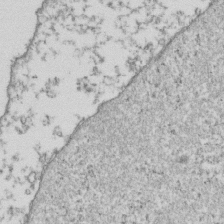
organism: Human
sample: Activated Jurkat CD4+ T cells